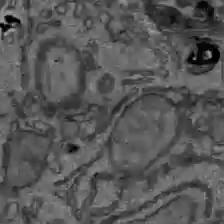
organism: C57BL Mouse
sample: Liver